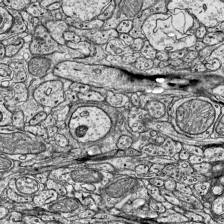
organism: Mouse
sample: Visual Cortex